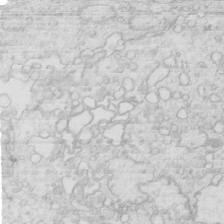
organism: Mouse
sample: Multiciliated cells